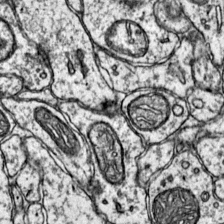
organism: Mouse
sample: Primary visual cortex